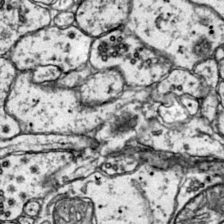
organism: Mouse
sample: Primary visual cortex